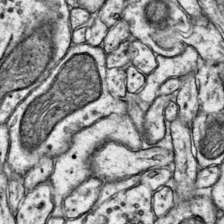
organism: Mouse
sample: Primary visual cortex